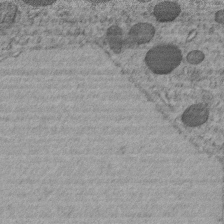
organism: C. elegans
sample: C. elegans embryo early stage